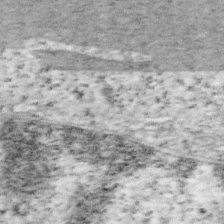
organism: Mouse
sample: OT-I killer T cells with ID8 ovarian cancer cells